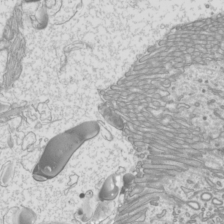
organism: Mouse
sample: Cilia; mouse epididymis